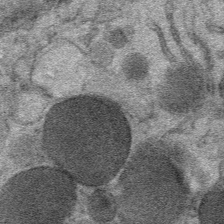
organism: Mouse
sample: Mouse Salivary gland